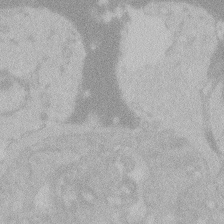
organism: Zebrafish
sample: Macrophage infected with Toxoplasma gondii